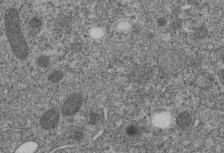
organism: C. elegans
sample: C. elegans embryo early stage